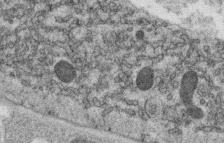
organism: C. elegans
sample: C. elegans oocyte; sperm cells